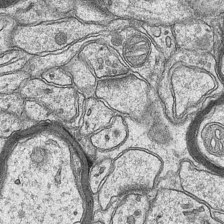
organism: Mouse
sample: CA1 Hippocampus